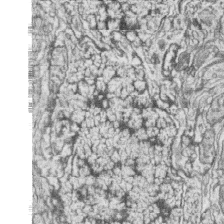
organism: Zebrafish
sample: synaptic ribbons in rod cells and cone cells